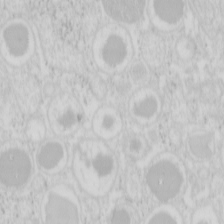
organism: Mouse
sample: Pancreas